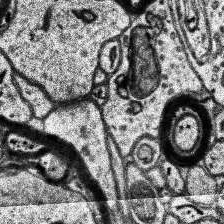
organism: Human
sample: Temporal Lobe